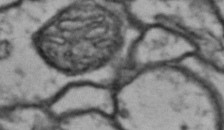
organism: Drosophila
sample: Brain